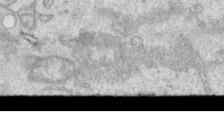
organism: Human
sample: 1205lu cells